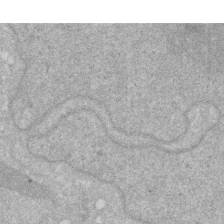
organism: Human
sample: HIV infected U937 cells